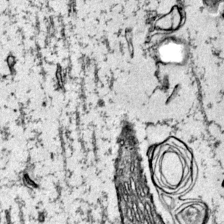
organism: Mouse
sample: Primary visual cortex